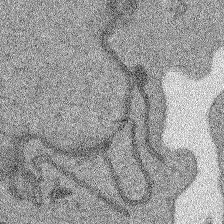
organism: Human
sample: HeLa cells